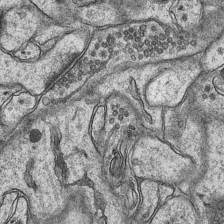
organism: Mouse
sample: CA1 Hippocampus